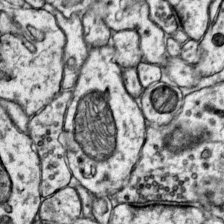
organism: Mouse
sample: Primary visual cortex